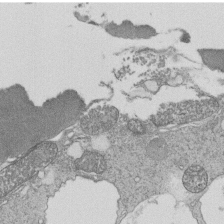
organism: Tetrahymena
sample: Cilia in tetrahymena